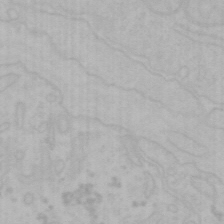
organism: Mouse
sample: Choroid plexus